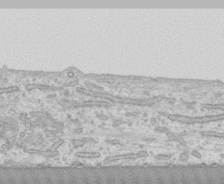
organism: Human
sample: CRL-1474